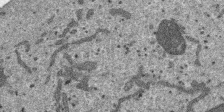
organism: Human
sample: Lung epithelial cells infected with SARS-CoV-2